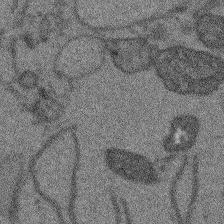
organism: Arabidopsis thaliana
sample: Root tip